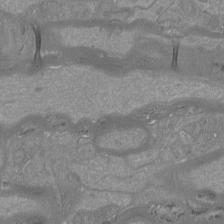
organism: Mouse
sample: Cortical neurons